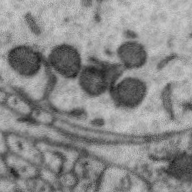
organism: Zebra finch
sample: Brain